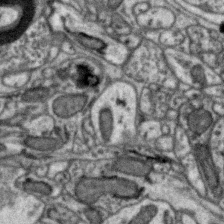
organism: Zebra finch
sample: Brain